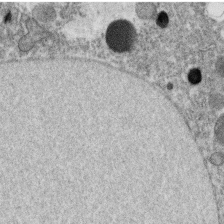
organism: C. elegans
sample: C. elegans oocyte; sperm cells